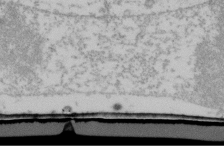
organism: Human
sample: U2-OS cells